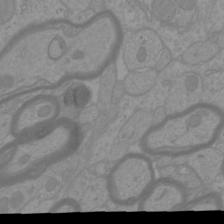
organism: Mouse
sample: Cortical neurons